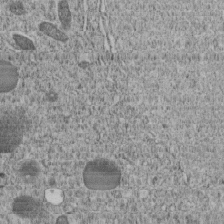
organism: C. elegans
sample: C. elegans embryo early stage